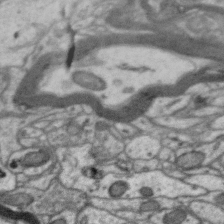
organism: Zebra finch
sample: Brain